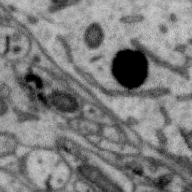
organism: Zebra finch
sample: Brain